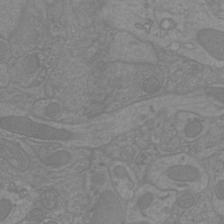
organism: Mouse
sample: Cortical neurons